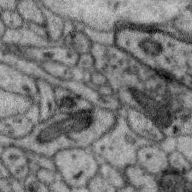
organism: Zebra finch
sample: Brain